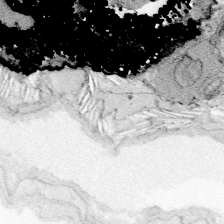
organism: Zebrafish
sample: Whole-Brain